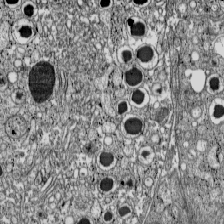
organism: C57BL Mouse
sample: Pancreatic islet